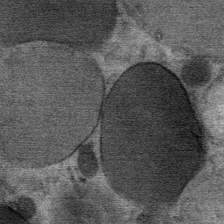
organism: Mouse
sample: Mouse Salivary gland